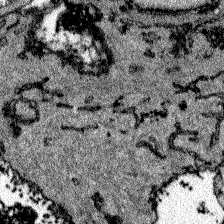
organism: Zebrafish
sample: Larval olfactory bulb